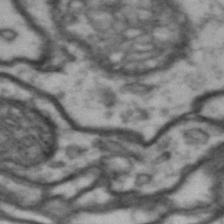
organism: Drosophila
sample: Brain